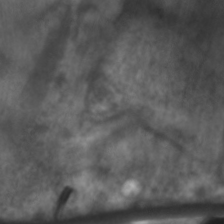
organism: C. elegans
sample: Pharynx